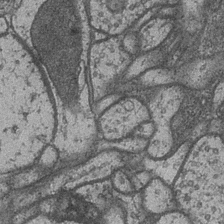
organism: Drosophila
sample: Optic medulla